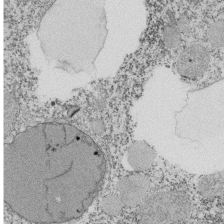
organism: Tetrahymena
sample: Cilia in tetrahymena